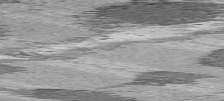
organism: C57BL Mouse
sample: Heart